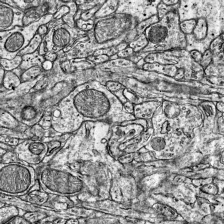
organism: Mouse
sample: Visual Cortex